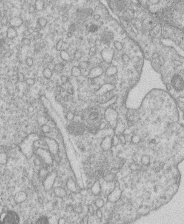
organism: Human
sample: Macrophage cells